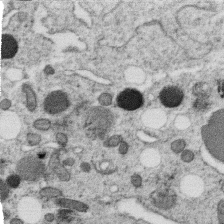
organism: C. elegans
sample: C. elegans oocyte; sperm cells